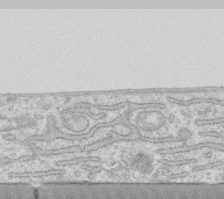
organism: Human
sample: Fibroblast cells